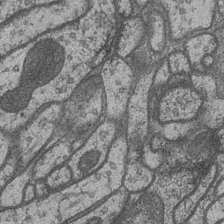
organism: Drosophila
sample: Optic medulla